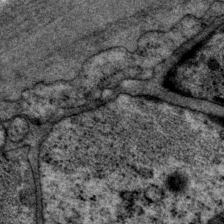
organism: P. pacificus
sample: Pharynx